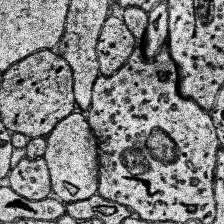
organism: Human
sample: Temporal Lobe